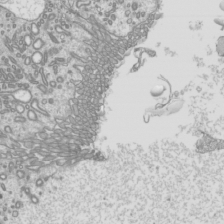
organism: Mouse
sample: Cilia; mouse epididymis